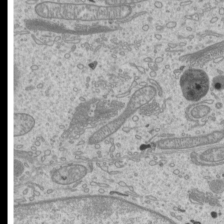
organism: Mouse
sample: Cilia; mouse epididymis